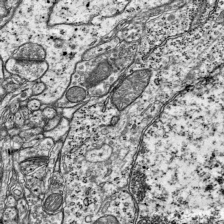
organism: Mouse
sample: Visual Cortex